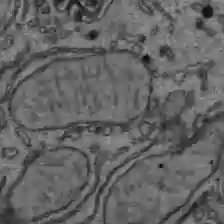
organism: C57BL Mouse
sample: Liver